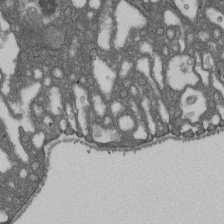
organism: Drosophila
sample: Nephrocyte